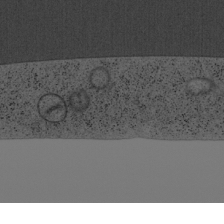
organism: African green monkey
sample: COS-7 cells